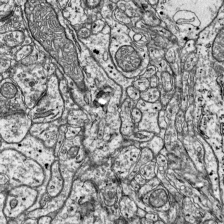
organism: Mouse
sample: Visual Cortex